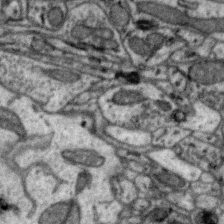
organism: Zebra finch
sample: Brain